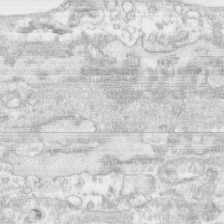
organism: Human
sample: CRL-1474